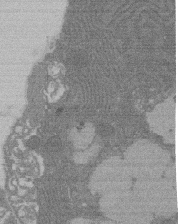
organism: Rat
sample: Salivary granule